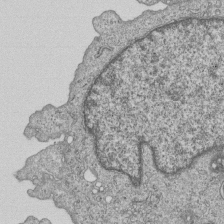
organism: Human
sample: MDA-MB-231 cells